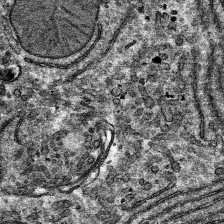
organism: Mouse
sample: Mouse hepatocytes